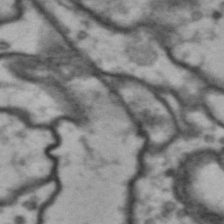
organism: Drosophila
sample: Brain